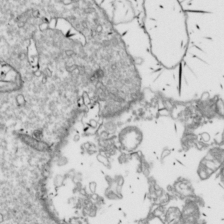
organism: Drosophila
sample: Cell division; meiosis; drosophila spermatocytes